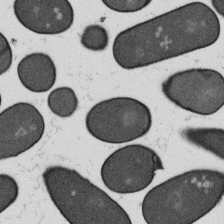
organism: B. subtilis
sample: Bacterial spore